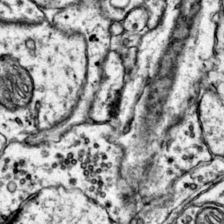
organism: Mouse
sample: Primary visual cortex